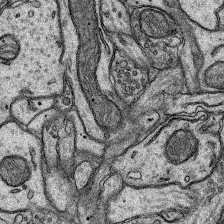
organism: Rat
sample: Hippocampus